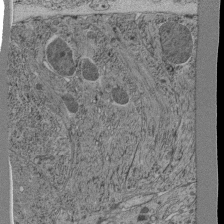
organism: C. elegans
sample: C. elegans pharynx